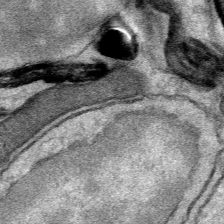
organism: Mouse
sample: Mouse Salivary gland